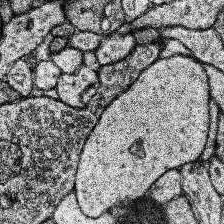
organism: Human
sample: Temporal Lobe